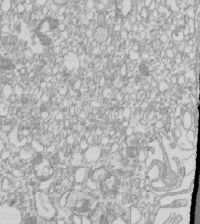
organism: Mouse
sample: Macrophages